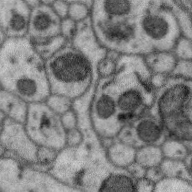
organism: Zebra finch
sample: Brain